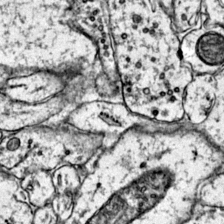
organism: Mouse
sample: Primary visual cortex